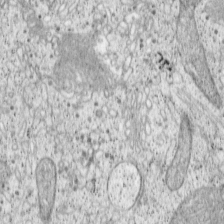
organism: African green monkey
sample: COS-7 cells